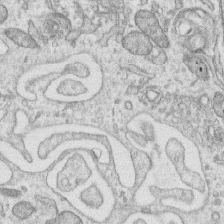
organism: Human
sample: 1205lu cells